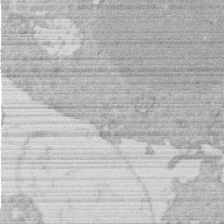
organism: Human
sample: Macrophage cells